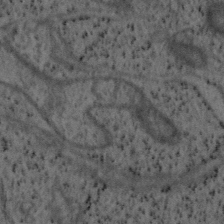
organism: Human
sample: HeLa cells